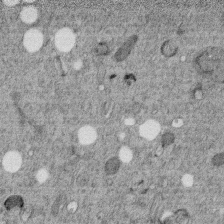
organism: C. elegans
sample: C. elegans embryo early stage